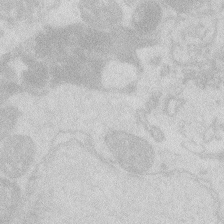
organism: Zebrafish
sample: Macrophage